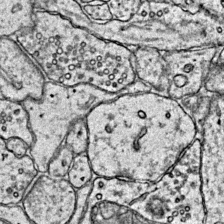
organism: Mouse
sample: Primary visual cortex